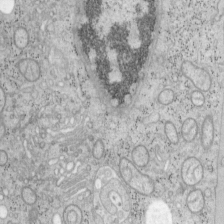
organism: Mouse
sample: OT-I killer T cells with ID8 ovarian cancer cells